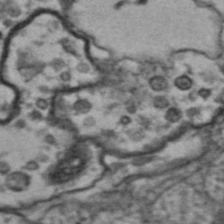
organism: Drosophila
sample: Brain